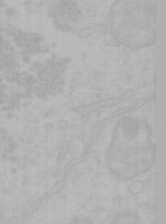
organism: Mouse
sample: Choroid plexus